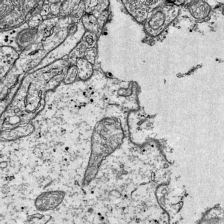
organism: Mouse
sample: Visual Cortex